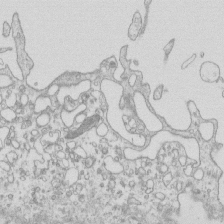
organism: Mouse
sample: Macrophages